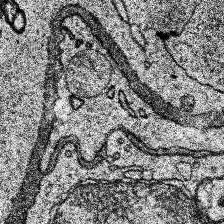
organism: Human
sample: Temporal Lobe